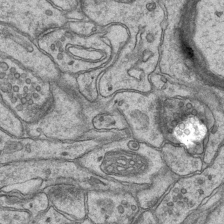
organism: Mouse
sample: CA1 Hippocampus